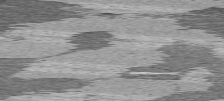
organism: C57BL Mouse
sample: Heart